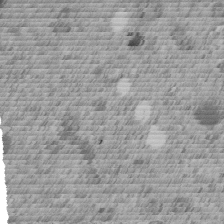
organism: C. elegans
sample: C. elegans embryo early stage